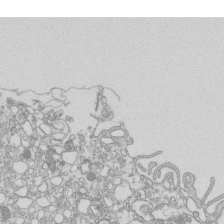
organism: Mouse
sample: Macrophages